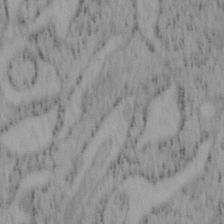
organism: Mouse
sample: OT-I killer T cells with ID8 ovarian cancer cells